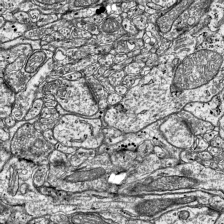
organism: Mouse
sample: Visual Cortex